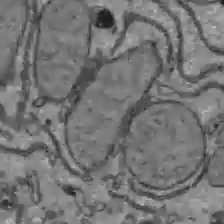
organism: C57BL Mouse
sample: Liver